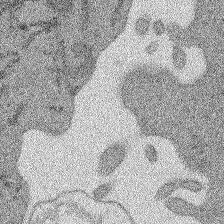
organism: Human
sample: HeLa cells